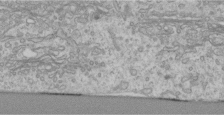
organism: Human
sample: Centriole in RPE cells